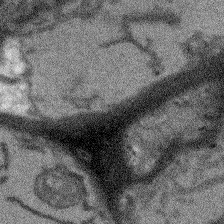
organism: Arabidopsis thaliana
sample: Root tip